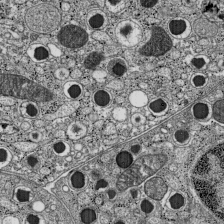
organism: C57BL Mouse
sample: Pancreatic islet